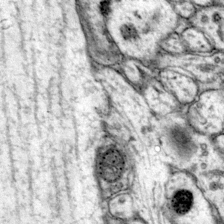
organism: Mouse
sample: Primary visual cortex